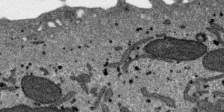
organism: Human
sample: Lung epithelial cells, uninfected (mock) control